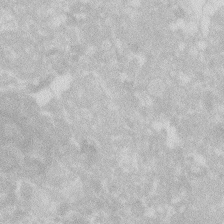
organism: Zebrafish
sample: Macrophage